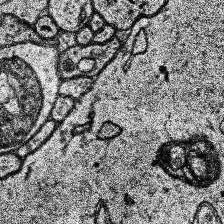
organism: Human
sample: Temporal Lobe